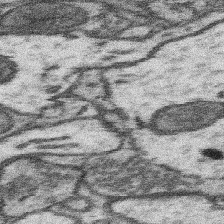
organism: Mouse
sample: Somatosensory cortex neuropil